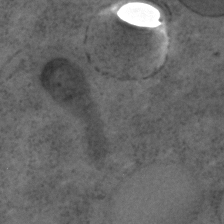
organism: C. elegans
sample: C. elegans embryo